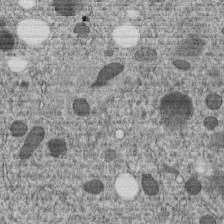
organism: C. elegans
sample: C. elegans embryo early stage